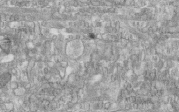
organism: Human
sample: Centriole in fibroblast cells